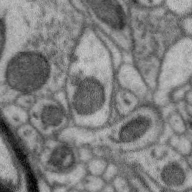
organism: Zebra finch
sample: Brain